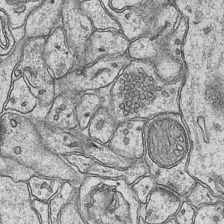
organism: Mouse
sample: CA1 Hippocampus